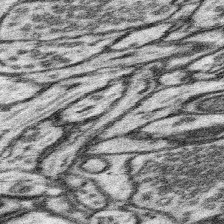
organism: Mouse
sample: Somatosensory cortex neuropil